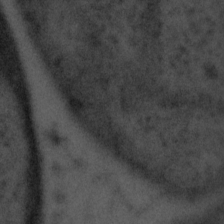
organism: Tuwongella immobilis